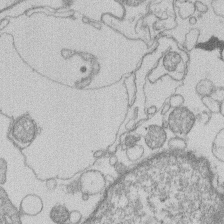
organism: Human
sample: Macrophage cells